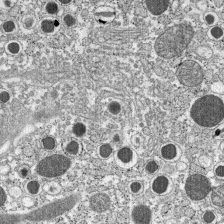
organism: C57BL Mouse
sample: Pancreatic islet